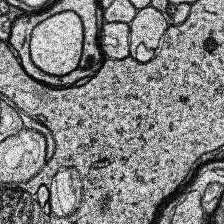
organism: Human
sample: Temporal Lobe